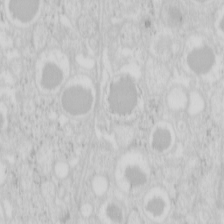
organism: Mouse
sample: Pancreas